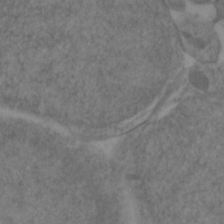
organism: Zebrafish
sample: Zebrafish embryo